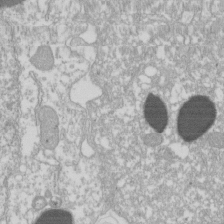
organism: Xenopus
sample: Cilia; centrioles in frog embryo cells